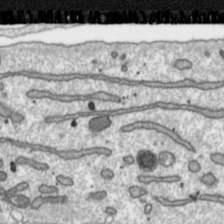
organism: Toxoplasma gondii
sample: Parasites in a vacuole inside a host cell